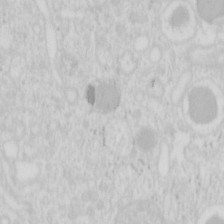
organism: Mouse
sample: Pancreas